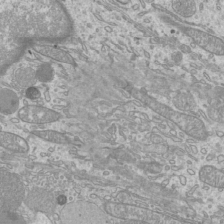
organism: Mouse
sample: Cilia; mouse epididymis